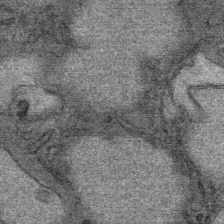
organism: Mouse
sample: Mouse Salivary gland